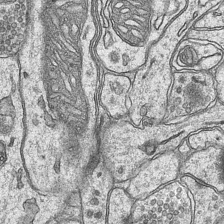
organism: Mouse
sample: CA1 Hippocampus